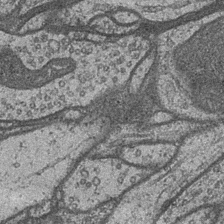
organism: Drosophila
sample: Optic medulla